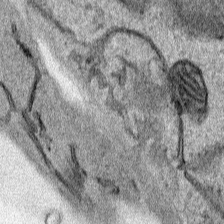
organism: Human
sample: Mitochondria in HCT116 cells